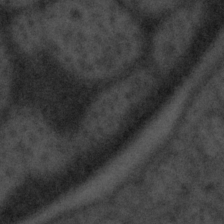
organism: Tuwongella immobilis